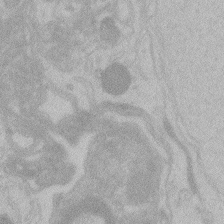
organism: Zebrafish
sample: Macrophage infected with Toxoplasma gondii